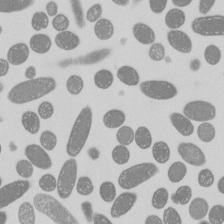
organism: E. coli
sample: Bacterial nucleoid